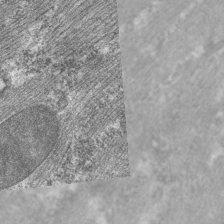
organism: C. elegans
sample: Pharynx